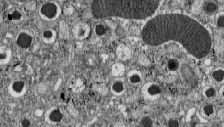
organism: C57BL Mouse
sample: Pancreatic islet